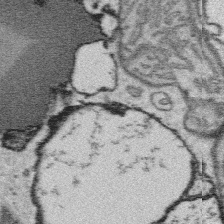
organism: Platynereis dumerilii